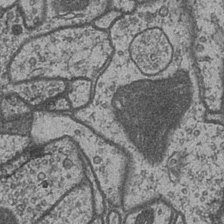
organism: Drosophila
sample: Optic medulla